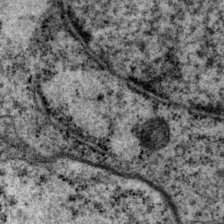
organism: P. pacificus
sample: Pharynx